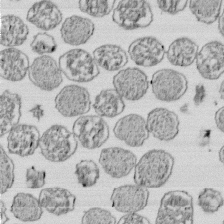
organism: E. coli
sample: Bacterial nucleoid